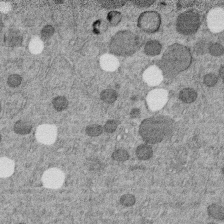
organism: C. elegans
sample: C. elegans embryo early stage